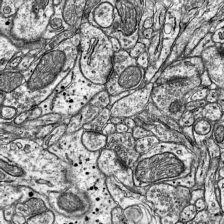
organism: Mouse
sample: Visual Cortex